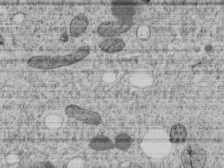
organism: C. elegans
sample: C. elegans embryo early stage